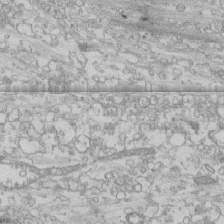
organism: Human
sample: CRL-1474